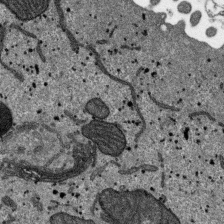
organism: Human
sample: Lung epithelial cells, uninfected (mock) control